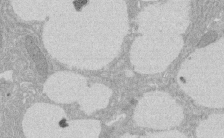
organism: Rat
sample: Salivary granule